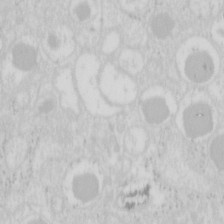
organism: Mouse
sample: Pancreas